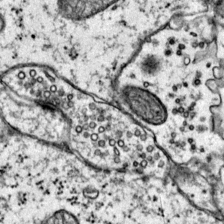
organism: Mouse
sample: Primary visual cortex